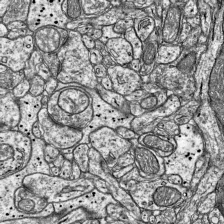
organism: Mouse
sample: Visual Cortex